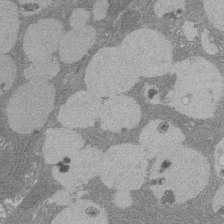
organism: Rat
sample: Salivary granule